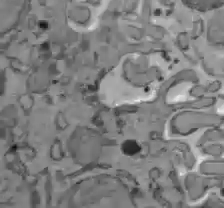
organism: C57BL Mouse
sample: Liver